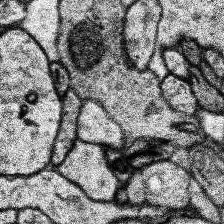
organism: Human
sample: Temporal Lobe